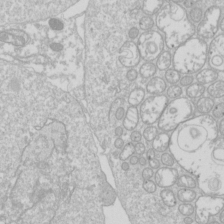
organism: Drosophila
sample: Cell division; meiosis; drosophila spermatocytes